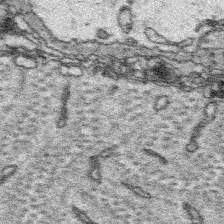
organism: Platynereis dumerilii